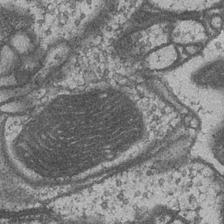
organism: Drosophila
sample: Optic medulla